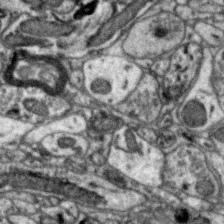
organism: Zebra finch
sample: Brain